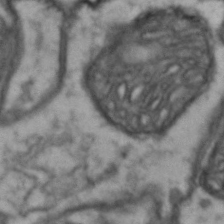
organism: Drosophila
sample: Brain